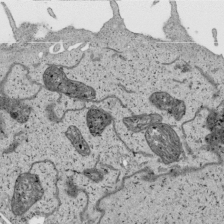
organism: Human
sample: Mitochondria in HCT116 cells